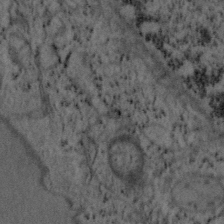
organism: Human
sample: HeLa cells